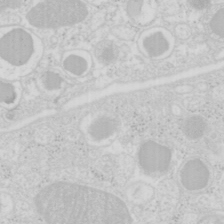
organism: Mouse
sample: Pancreas